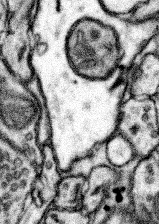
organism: Mouse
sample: Somatosensory cortex neuropil